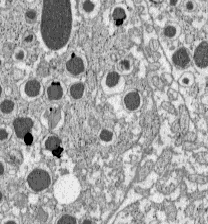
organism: C57BL Mouse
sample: Pancreatic islet